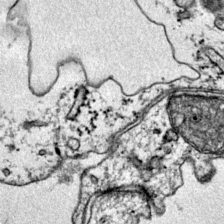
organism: Mouse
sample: Primary visual cortex